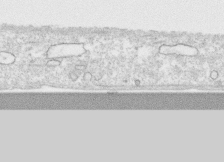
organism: Human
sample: CRL-1474